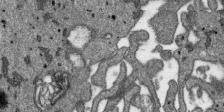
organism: Human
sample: Lung epithelial cells, uninfected (mock) control